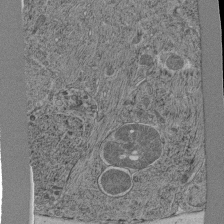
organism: C. elegans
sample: C. elegans pharynx